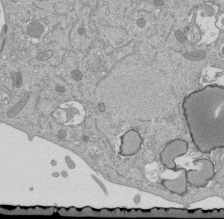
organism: Mouse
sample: ED-1 cell nuclei; centrioles